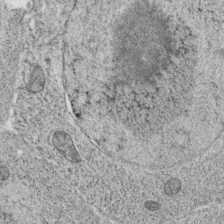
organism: C. elegans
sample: C. elegans oocyte; sperm cells